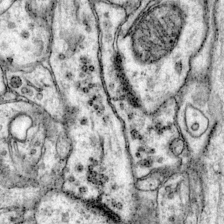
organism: Mouse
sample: Primary visual cortex